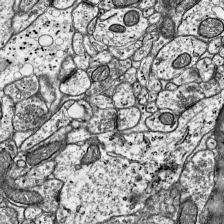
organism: Mouse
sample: Visual Cortex